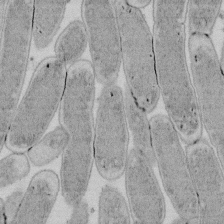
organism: E. coli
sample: Bacterial nucleoid